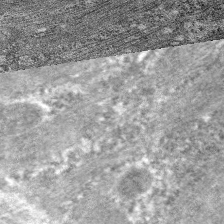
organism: C. elegans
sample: Pharynx